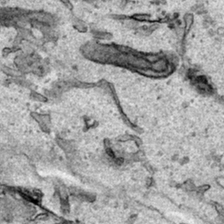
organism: Human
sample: Mitochondria in HCT116 cells